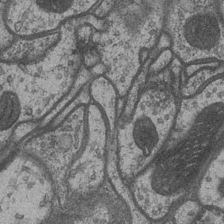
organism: Drosophila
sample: Optic medulla